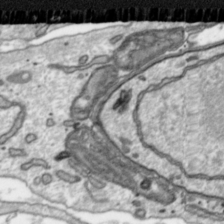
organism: Toxoplasma gondii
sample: Parasites in a vacuole inside a host cell